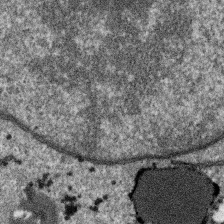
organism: Human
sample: Lung epithelial cells infected with SARS-CoV-2